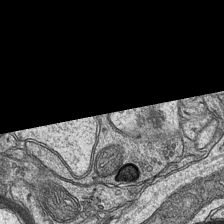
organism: Mouse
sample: CA1 Hippocampus